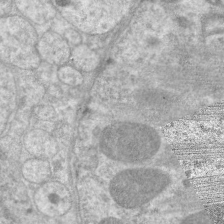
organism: C. elegans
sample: Pharynx